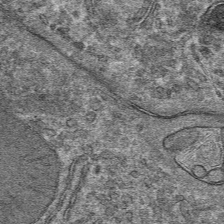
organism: Mouse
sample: Mouse hepatocytes